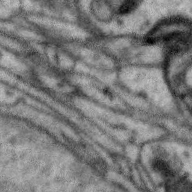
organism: Zebra finch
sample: Brain